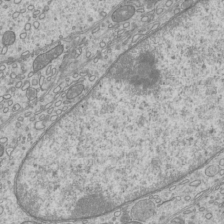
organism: Mouse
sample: Cilia; mouse epididymis